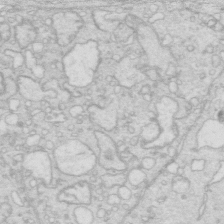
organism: Mouse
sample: Multiciliated cells